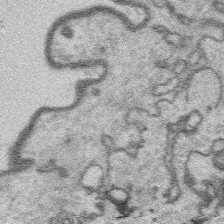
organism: Platynereis dumerilii